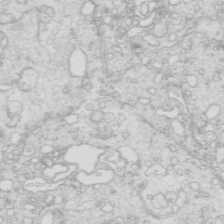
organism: Mouse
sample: Multiciliated cells